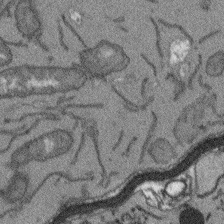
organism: Arabidopsis thaliana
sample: Root tip